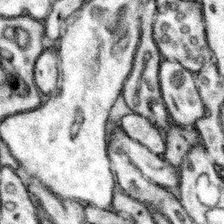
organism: Mouse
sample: Somatosensory cortex neuropil